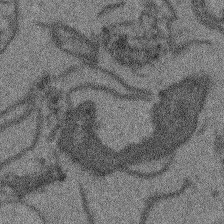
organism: Arabidopsis thaliana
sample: Root tip